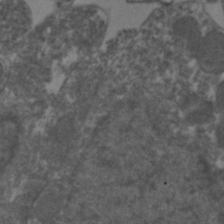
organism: Zebrafish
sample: Zebrafish embryo